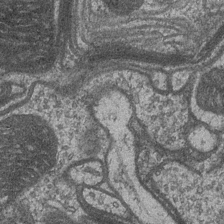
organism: Drosophila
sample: Optic medulla